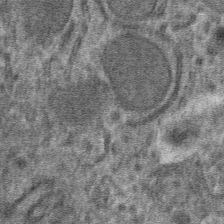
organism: Mouse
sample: Mouse hepatocytes